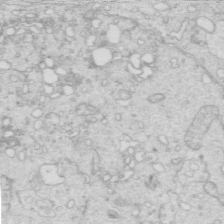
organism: Mouse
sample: Multiciliated cells